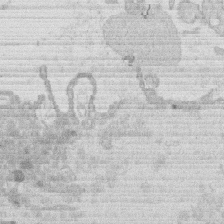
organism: Human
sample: Macrophage cells